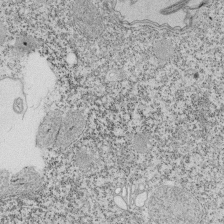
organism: Tetrahymena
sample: Cilia in tetrahymena